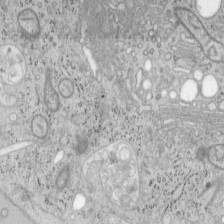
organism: Mouse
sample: OT-I killer T cells with ID8 ovarian cancer cells